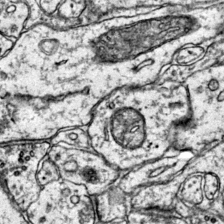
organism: Mouse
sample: Primary visual cortex